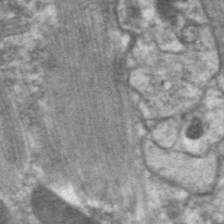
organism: C. elegans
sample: Pharynx